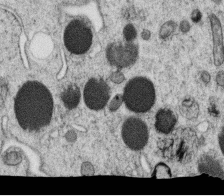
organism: C. elegans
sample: C. elegans oocyte; sperm cells